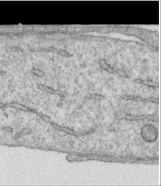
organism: Human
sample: Centriole in RPE cells